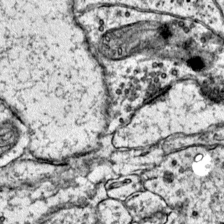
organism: Mouse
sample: Primary visual cortex